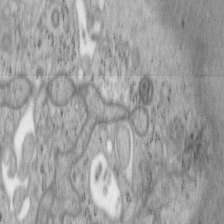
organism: Human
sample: HeLa cells